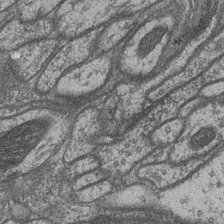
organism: Drosophila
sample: Optic medulla